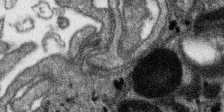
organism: Human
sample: Lung epithelial cells infected with SARS-CoV-2